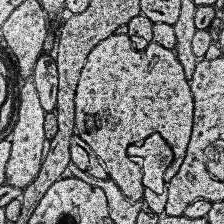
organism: Human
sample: Temporal Lobe